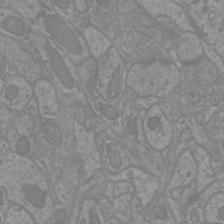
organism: Mouse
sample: Cortical neurons